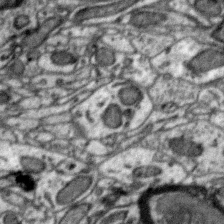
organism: Zebra finch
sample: Brain